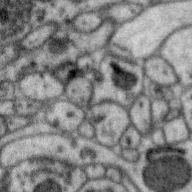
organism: Zebra finch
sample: Brain